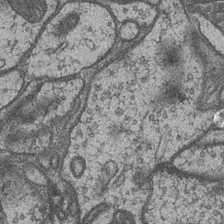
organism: Drosophila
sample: Optic medulla